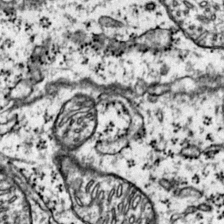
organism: Mouse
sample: Primary visual cortex